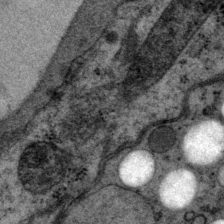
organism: P. pacificus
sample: Pharynx